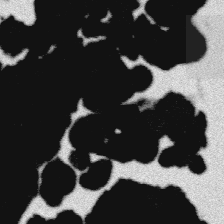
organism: Platynereis dumerilii